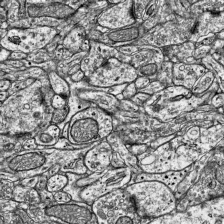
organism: Mouse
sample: Visual Cortex